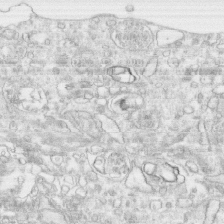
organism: Human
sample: CRL-1474